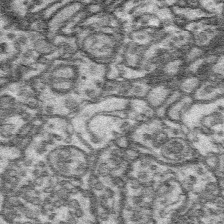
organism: Platynereis dumerilii